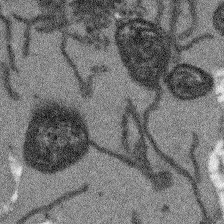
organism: Arabidopsis thaliana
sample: Root tip